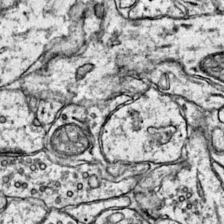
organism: Mouse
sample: Primary visual cortex